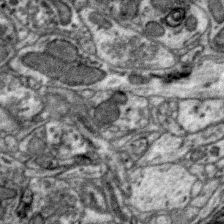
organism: Zebra finch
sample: Brain